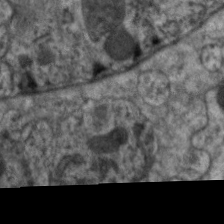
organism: C. elegans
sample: Pharynx